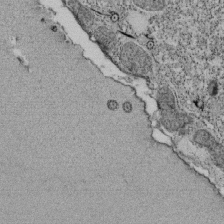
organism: Tetrahymena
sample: Cilia in tetrahymena